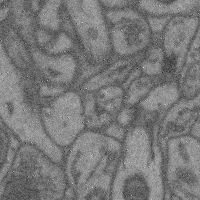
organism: Mouse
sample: Cerebral cortex